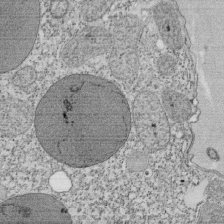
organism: Tetrahymena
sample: Cilia in tetrahymena